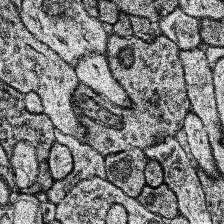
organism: Human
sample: Temporal Lobe